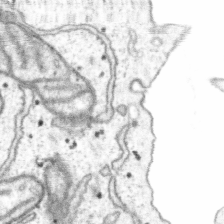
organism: Human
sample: HeLa cells